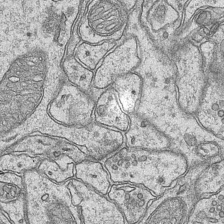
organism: Mouse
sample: CA1 Hippocampus